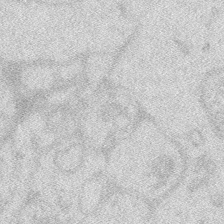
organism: Zebrafish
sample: Macrophage